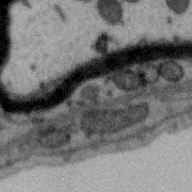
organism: Zebra finch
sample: Brain